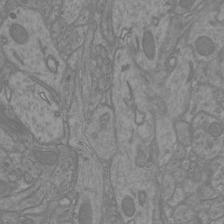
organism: Mouse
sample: Cortical neurons